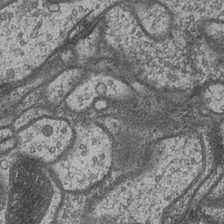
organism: Drosophila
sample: Optic medulla